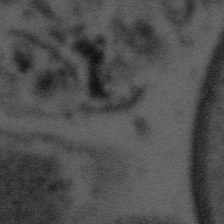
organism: Tuwongella immobilis